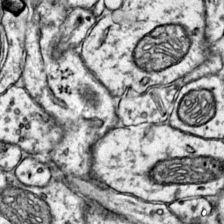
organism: Mouse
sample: Primary visual cortex